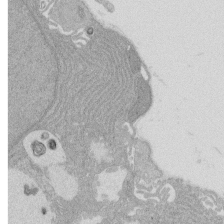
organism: Rat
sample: Salivary granule